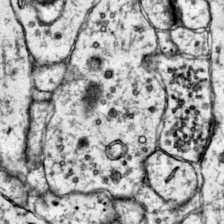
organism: Mouse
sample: Primary visual cortex